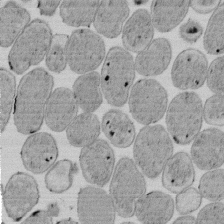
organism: E. coli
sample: Bacterial nucleoid